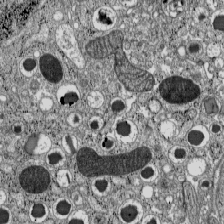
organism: C57BL Mouse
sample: Pancreatic islet